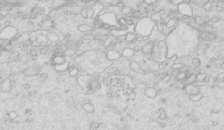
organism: Mouse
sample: Multiciliated cells